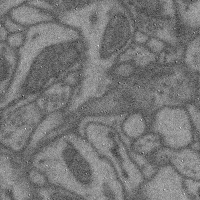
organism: Mouse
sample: Cerebral cortex